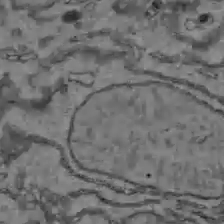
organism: C57BL Mouse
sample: Liver